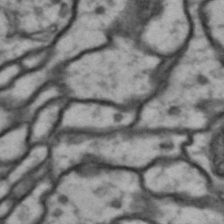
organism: Drosophila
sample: Brain